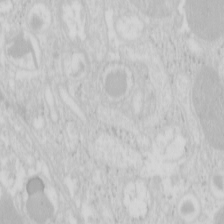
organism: Mouse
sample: Pancreas